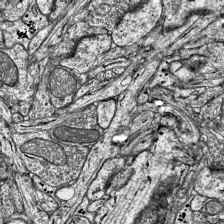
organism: Mouse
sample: Visual Cortex